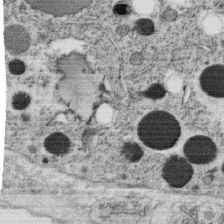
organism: C. elegans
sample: C. elegans oocyte; sperm cells